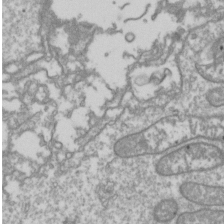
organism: Drosophila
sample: Cell division; meiosis; drosophila spermatocytes